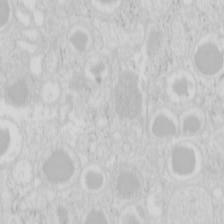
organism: Mouse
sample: Pancreas